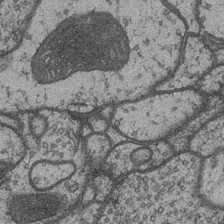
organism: Drosophila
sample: Optic medulla